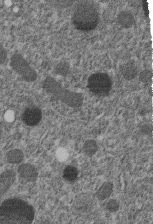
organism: C. elegans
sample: C. elegans embryo early stage